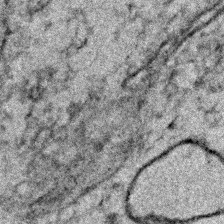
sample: Trachea